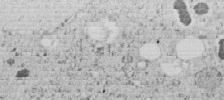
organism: C. elegans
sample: C. elegans embryo early stage